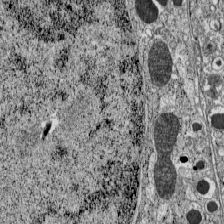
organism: C57BL Mouse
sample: Pancreatic islet